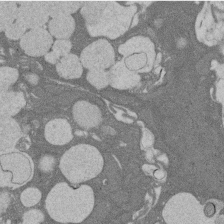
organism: Rat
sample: Salivary granule